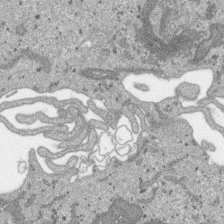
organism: Human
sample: Lung epithelial cells infected with SARS-CoV-2